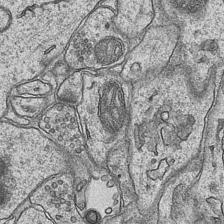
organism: Mouse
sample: CA1 Hippocampus